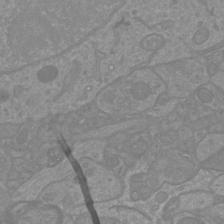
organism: Mouse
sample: Cortical neurons